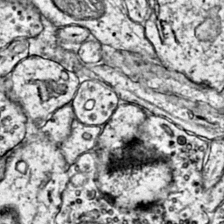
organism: Mouse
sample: Primary visual cortex